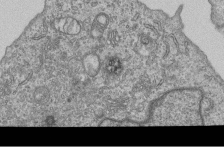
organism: Human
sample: MDA-MB-231 cells